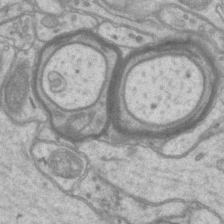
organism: Mouse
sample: CA1 Hippocampus